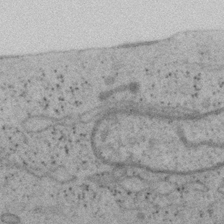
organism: Human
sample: HeLa cells